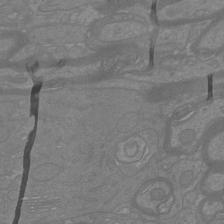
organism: Mouse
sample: Cortical neurons